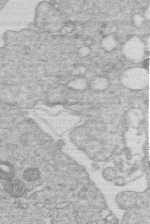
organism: Human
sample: Macrophage cells